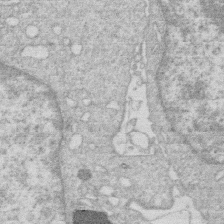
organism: Human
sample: Macrophage cells